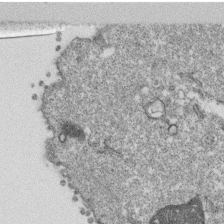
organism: African green monkey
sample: Vero E6 cells infected with SARS-CoV-2